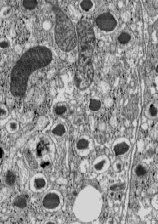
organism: C57BL Mouse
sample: Pancreatic islet